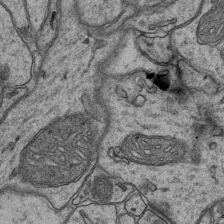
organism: Mouse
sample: CA1 Hippocampus